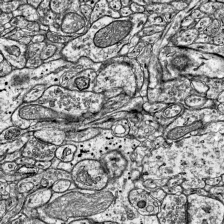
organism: Mouse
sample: Visual Cortex